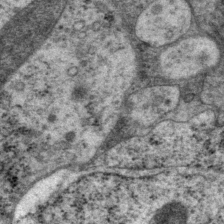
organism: P. pacificus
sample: Pharynx